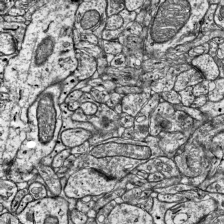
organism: Mouse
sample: Visual Cortex